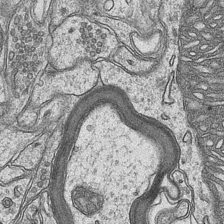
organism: Mouse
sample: CA1 Hippocampus